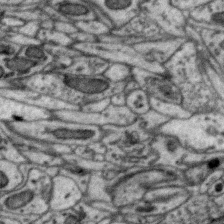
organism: Zebra finch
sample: Brain